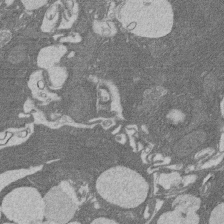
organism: Rat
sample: Salivary granule